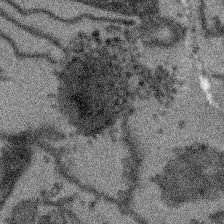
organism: Arabidopsis thaliana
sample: Root tip